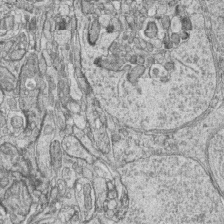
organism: Zebrafish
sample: synaptic ribbons in rod cells and cone cells